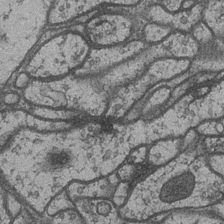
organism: Drosophila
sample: Optic medulla